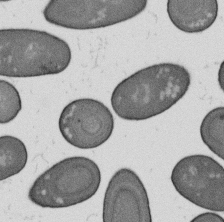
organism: B. subtilis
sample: Bacterial spore